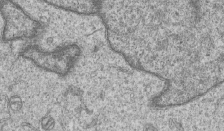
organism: Human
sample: MDA-MB-231 cells